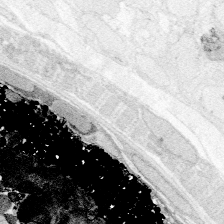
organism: Zebrafish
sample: Whole-Brain